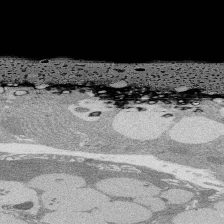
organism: Rat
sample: Salivary granule